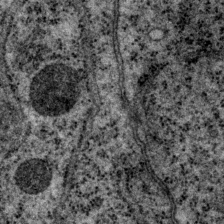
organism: P. pacificus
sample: Pharynx